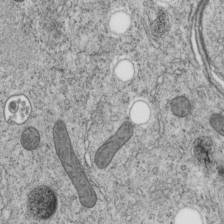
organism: C. elegans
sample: C. elegans embryo early stage